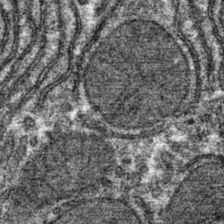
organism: Mouse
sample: Mouse hepatocytes